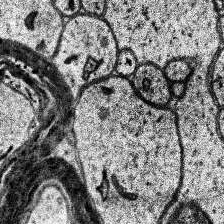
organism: Human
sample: Temporal Lobe